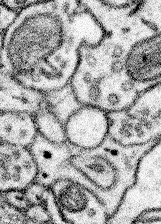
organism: Mouse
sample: Somatosensory cortex neuropil